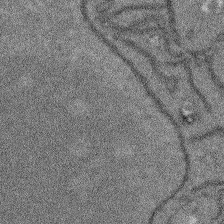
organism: Arabidopsis thaliana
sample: Root tip